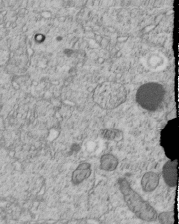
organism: C. elegans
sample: C. elegans embryo early stage